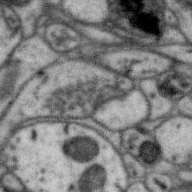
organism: Zebra finch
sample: Brain